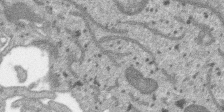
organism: Human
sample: Lung epithelial cells infected with SARS-CoV-2